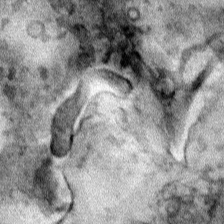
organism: Human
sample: Mitochondria in HCT116 cells